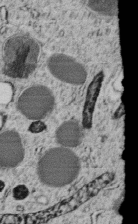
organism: C. elegans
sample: C. elegans embryo early stage